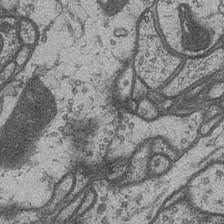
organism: Drosophila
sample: Optic medulla